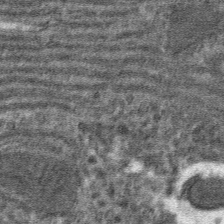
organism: Mouse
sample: Mouse hepatocytes